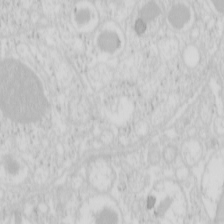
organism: Mouse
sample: Pancreas